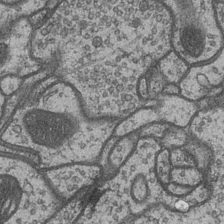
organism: Drosophila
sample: Optic medulla